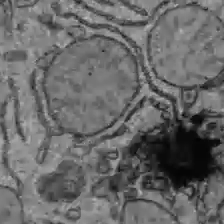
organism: C57BL Mouse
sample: Liver